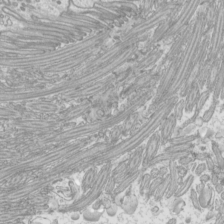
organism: Mouse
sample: Cilia; mouse epididymis